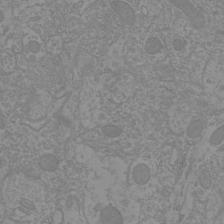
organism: Mouse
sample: Cortical neurons